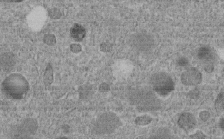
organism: C. elegans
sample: C. elegans embryo early stage